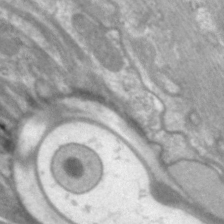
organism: C. elegans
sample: Pharynx